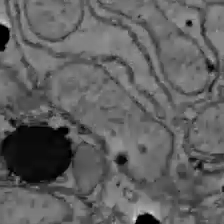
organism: C57BL Mouse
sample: Liver